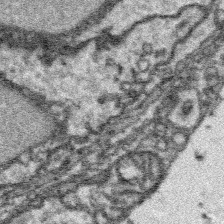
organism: Platynereis dumerilii